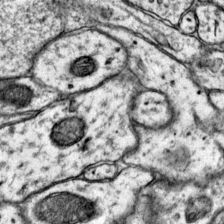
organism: Mouse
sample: Primary visual cortex